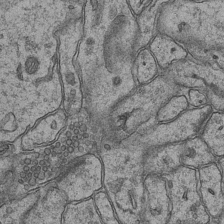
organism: Mouse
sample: CA1 Hippocampus